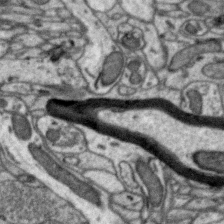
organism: Zebra finch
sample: Brain